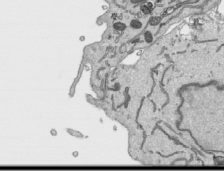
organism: Human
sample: Mitochondria in HCT116 cells